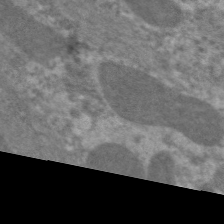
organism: C. elegans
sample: Pharynx